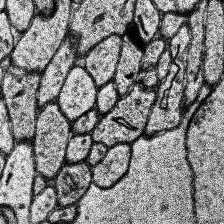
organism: Human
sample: Temporal Lobe